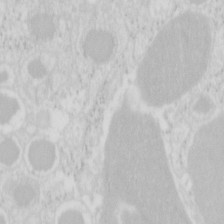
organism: Mouse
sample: Pancreas